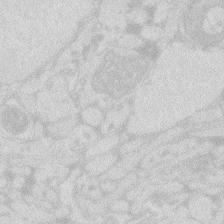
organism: Zebrafish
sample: Macrophage